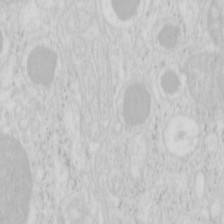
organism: Mouse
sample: Pancreas